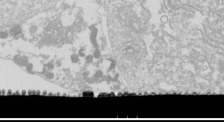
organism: Drosophila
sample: Cell division; meiosis; drosophila spermatocytes